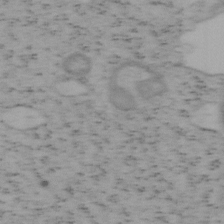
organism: Mouse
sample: OT-I killer T cells with ID8 ovarian cancer cells